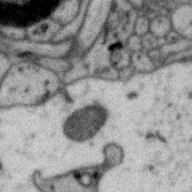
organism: Zebra finch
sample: Brain